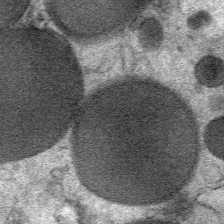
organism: Mouse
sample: Mouse Salivary gland